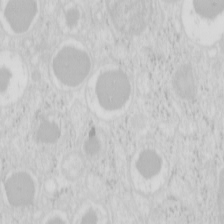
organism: Mouse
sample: Pancreas